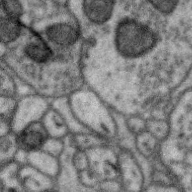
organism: Zebra finch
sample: Brain